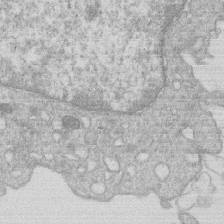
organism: Human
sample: Macrophage cells